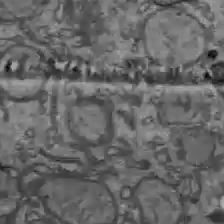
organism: C57BL Mouse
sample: Liver